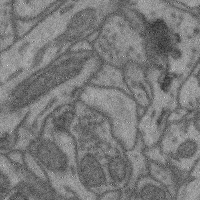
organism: Mouse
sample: Cerebral cortex